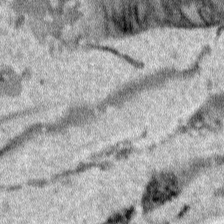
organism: Human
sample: Mitochondria in HCT116 cells